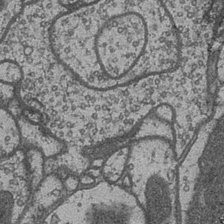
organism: Drosophila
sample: Optic medulla